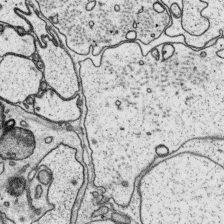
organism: Platynereis dumerilii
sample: Parapodia